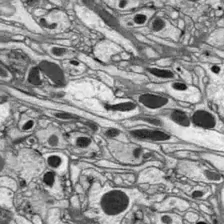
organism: Drosophila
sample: Optic lobe